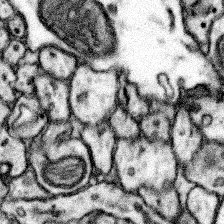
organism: Mouse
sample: Somatosensory cortex neuropil